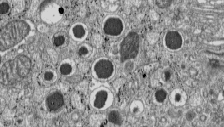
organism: C57BL Mouse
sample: Pancreatic islet